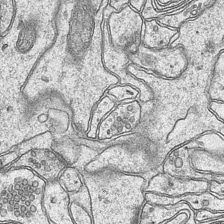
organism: Mouse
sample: CA1 Hippocampus